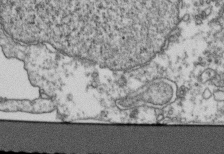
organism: Human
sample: Activated Jurkat CD4+ T cells